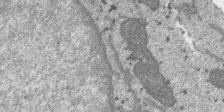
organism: Human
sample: Lung epithelial cells infected with SARS-CoV-2